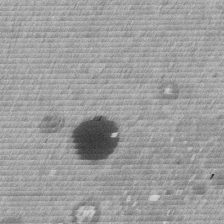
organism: Mouse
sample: Dividing mouse embryo 1 cell stage